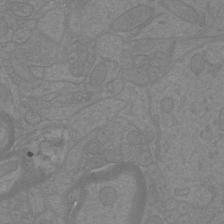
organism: Mouse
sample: Cortical neurons